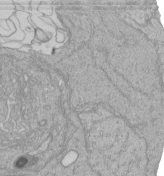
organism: Human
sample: Retinal organoid Rod and Cone cells